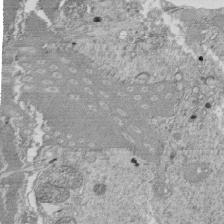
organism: Tetrahymena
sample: Cilia in tetrahymena